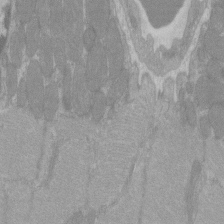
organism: C57BL Mouse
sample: Tibialis anterior muscle cell